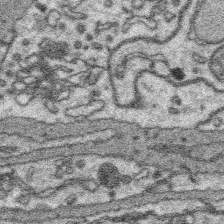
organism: Platynereis dumerilii